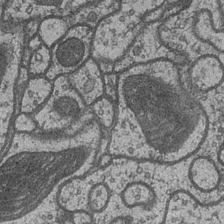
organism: Drosophila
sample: Optic medulla